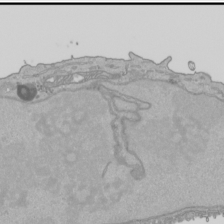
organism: Human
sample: Mitochondria in HCT116 cells